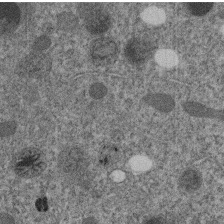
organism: C. elegans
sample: C. elegans embryo early stage